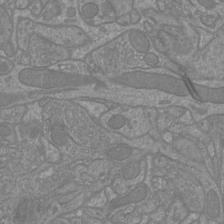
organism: Mouse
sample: Cortical neurons